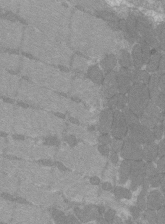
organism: C57BL Mouse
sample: Tibialis anterior muscle cell